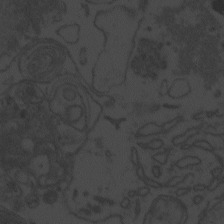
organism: Zebrafish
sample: Macrophage infected with Toxoplasma gondii